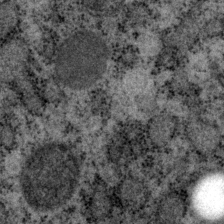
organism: P. pacificus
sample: Pharynx